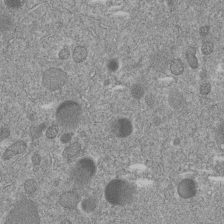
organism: C. elegans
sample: C. elegans embryo early stage